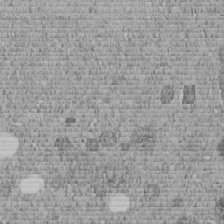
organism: C. elegans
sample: C. elegans embryo early stage